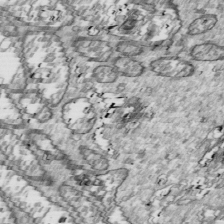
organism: Drosophila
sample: Cell division; meiosis; drosophila spermatocytes